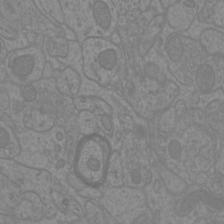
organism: Mouse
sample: Cortical neurons